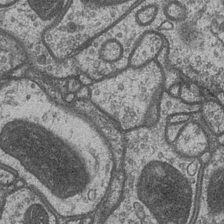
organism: Drosophila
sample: Optic medulla